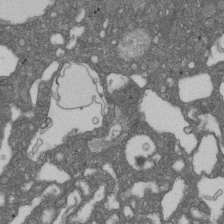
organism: Drosophila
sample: Nephrocyte